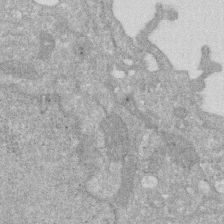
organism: Human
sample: HIV infected U937 cells